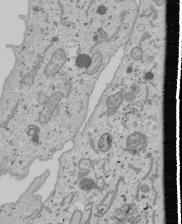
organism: Human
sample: Mitochondria in U2OS cells